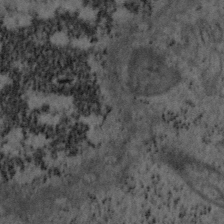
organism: Human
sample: HeLa cells